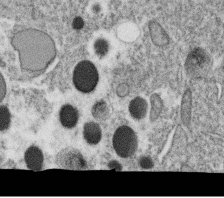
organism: C. elegans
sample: C. elegans oocyte; sperm cells